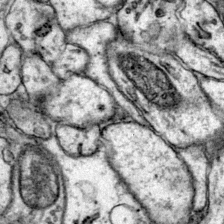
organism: Mouse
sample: Primary visual cortex